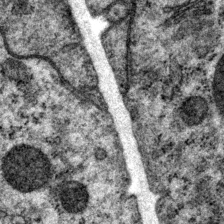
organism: P. pacificus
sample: Pharynx